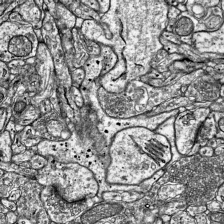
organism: Mouse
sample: Visual Cortex